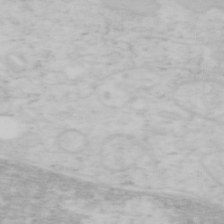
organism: Mouse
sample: OT-I killer T cells with ID8 ovarian cancer cells